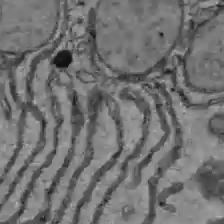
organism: C57BL Mouse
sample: Liver